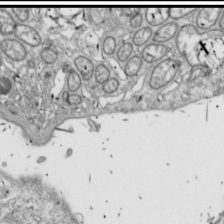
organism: Drosophila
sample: Cell division; meiosis; drosophila spermatocytes